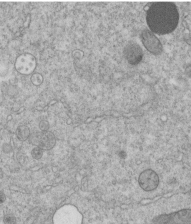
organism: C. elegans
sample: C. elegans embryo early stage